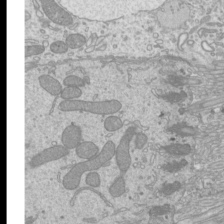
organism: Mouse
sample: Cilia; mouse epididymis